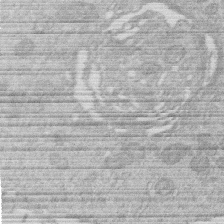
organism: Human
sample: Macrophage cells